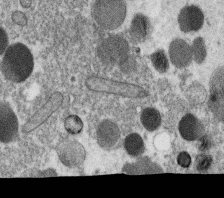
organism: C. elegans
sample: C. elegans oocyte; sperm cells